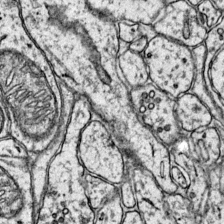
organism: Mouse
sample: Primary visual cortex